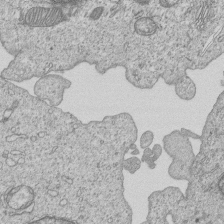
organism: Human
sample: MDA-MB-231 cells